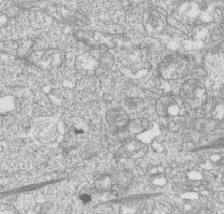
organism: Human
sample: HeLa cell HIV synapse